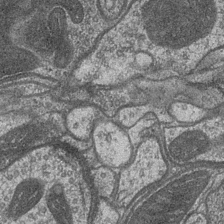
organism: Drosophila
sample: Optic medulla